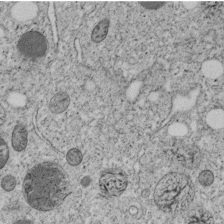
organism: C. elegans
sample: C. elegans embryo early stage